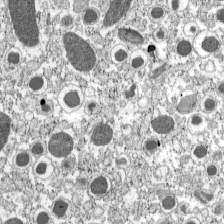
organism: C57BL Mouse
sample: Pancreatic islet